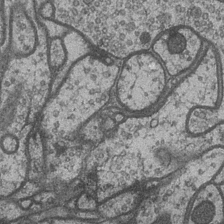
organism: Drosophila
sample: Optic medulla